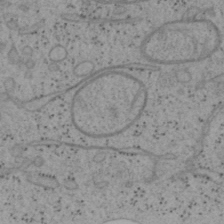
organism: Human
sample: HeLa cells